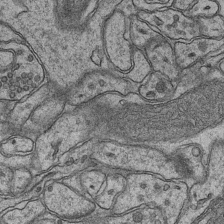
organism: Mouse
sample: CA1 Hippocampus